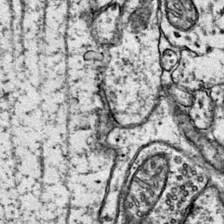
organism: Mouse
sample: Primary visual cortex